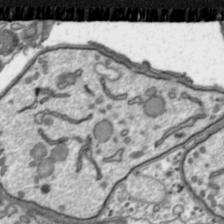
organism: Toxoplasma gondii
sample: Parasites in a vacuole inside a host cell